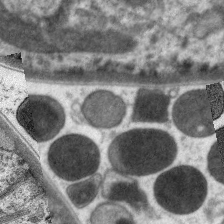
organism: C. elegans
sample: Pharynx